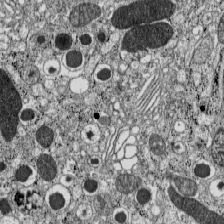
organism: C57BL Mouse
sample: Pancreatic islet